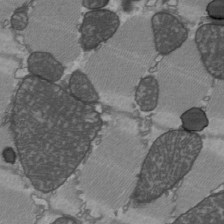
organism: C57BL Mouse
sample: Heart